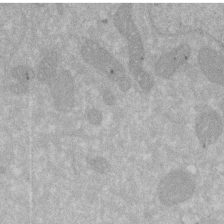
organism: Human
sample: HIV infected U937 cells